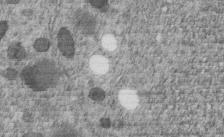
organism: C. elegans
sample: C. elegans embryo early stage